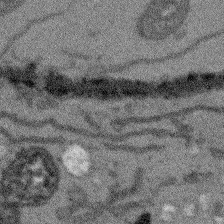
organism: Arabidopsis thaliana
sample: Root tip